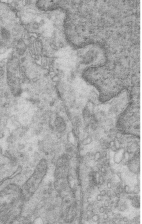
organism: Mouse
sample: Multiciliated cells